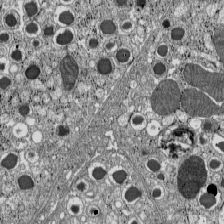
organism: C57BL Mouse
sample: Pancreatic islet